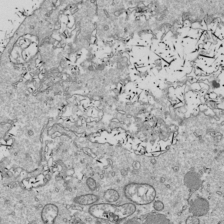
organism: Drosophila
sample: Cell division; meiosis; drosophila spermatocytes